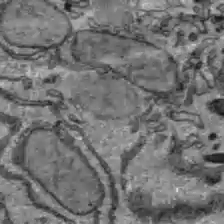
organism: C57BL Mouse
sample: Liver